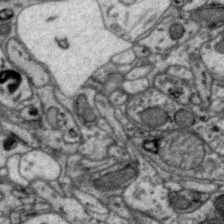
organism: Zebra finch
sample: Brain